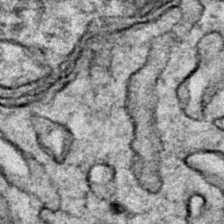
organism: Zebrafish